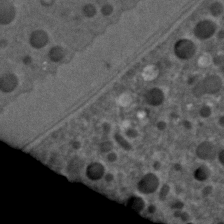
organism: C. elegans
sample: C. elegans embryo